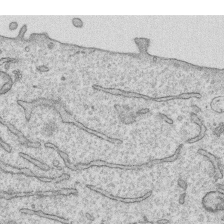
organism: Human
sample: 1205lu cells